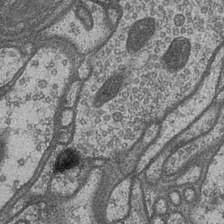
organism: Drosophila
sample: Optic medulla